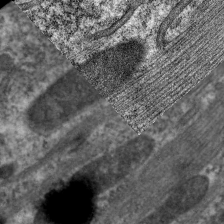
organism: C. elegans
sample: Pharynx